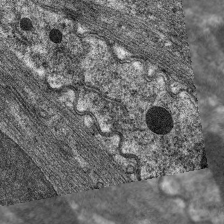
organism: C. elegans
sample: Pharynx